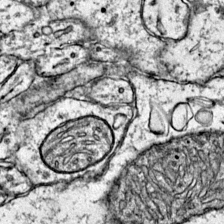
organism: Mouse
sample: Primary visual cortex